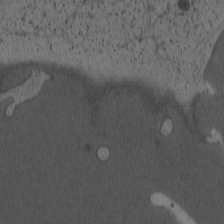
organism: African green monkey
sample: COS-7 cells